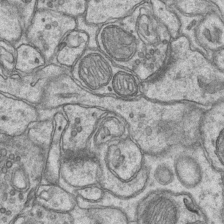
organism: Mouse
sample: CA1 Hippocampus